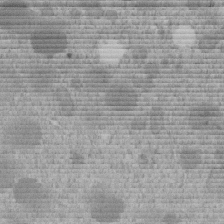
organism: C. elegans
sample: C. elegans embryo early stage